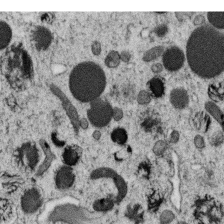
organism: C. elegans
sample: C. elegans oocyte; sperm cells